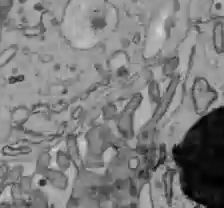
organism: C57BL Mouse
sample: Liver